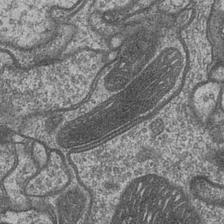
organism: Drosophila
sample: Optic medulla